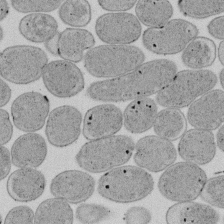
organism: E. coli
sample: Bacterial nucleoid